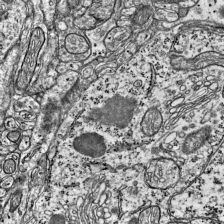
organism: Mouse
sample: Visual Cortex